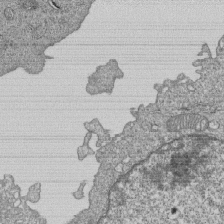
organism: Human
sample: MDA-MB-231 cells